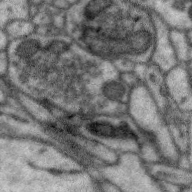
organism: Zebra finch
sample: Brain